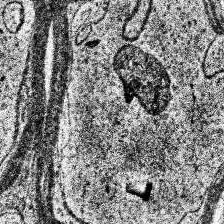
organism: Human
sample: Temporal Lobe